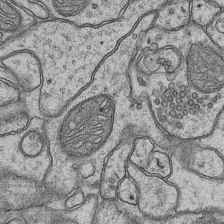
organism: Mouse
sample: CA1 Hippocampus